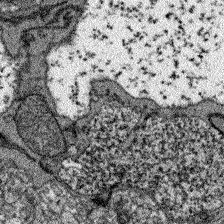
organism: Zebrafish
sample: Larval olfactory bulb